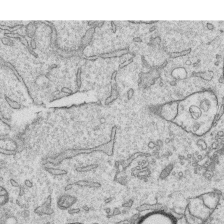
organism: Human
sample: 1205lu cells